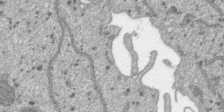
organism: Human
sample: Lung epithelial cells infected with SARS-CoV-2